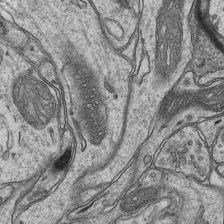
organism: Mouse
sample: CA1 Hippocampus